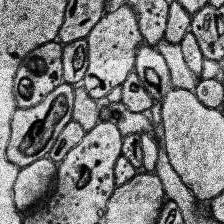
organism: Human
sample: Temporal Lobe